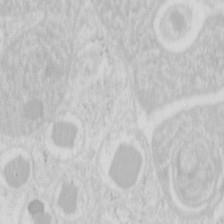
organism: Mouse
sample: Pancreas